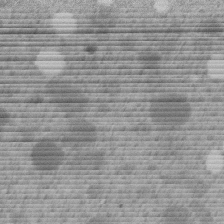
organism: C. elegans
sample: C. elegans embryo early stage